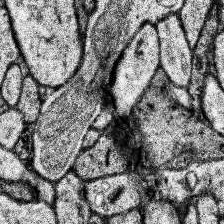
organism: Human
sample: Temporal Lobe